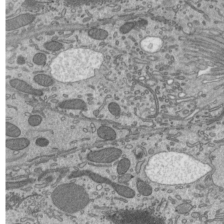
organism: Mouse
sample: Mouse epididymis efferent ductule cilia